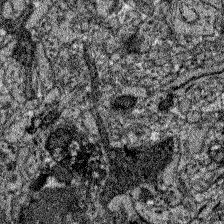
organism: Zebrafish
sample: Larval olfactory bulb